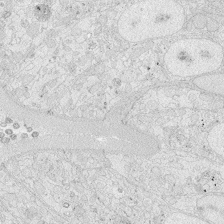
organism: Zebrafish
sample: Whole-Brain